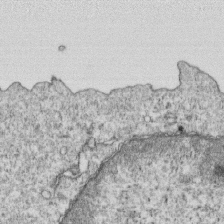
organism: Mouse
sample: Activated OT-1 CD8+ T cells